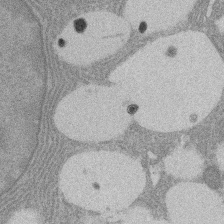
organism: Rat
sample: Salivary granule